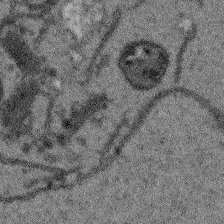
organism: Arabidopsis thaliana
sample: Root tip